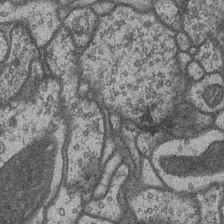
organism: Drosophila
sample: Optic medulla